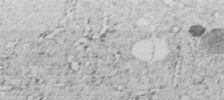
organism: C. elegans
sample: C. elegans embryo early stage